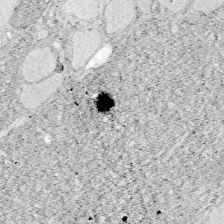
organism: Zebrafish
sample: Whole-Brain